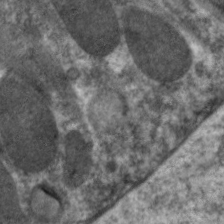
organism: C. elegans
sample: Pharynx